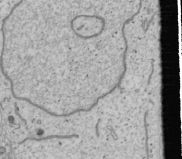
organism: Human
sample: Mitochondria in U2OS cells